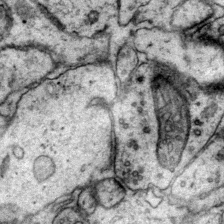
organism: Mouse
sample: Primary visual cortex